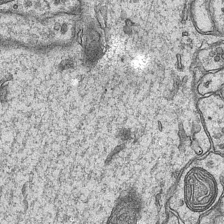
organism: Mouse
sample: CA1 Hippocampus